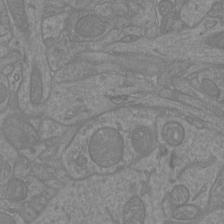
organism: Mouse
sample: Cortical neurons